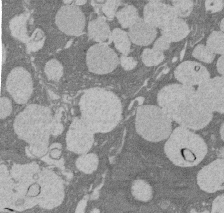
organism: Rat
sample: Salivary granule